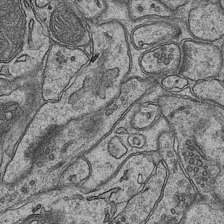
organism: Mouse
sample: CA1 Hippocampus